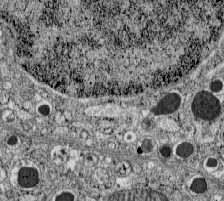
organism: C57BL Mouse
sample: Pancreatic islet